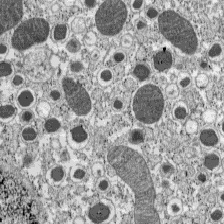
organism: C57BL Mouse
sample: Pancreatic islet